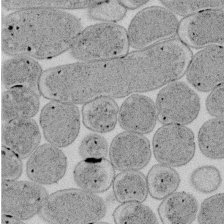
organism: E. coli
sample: Bacterial nucleoid